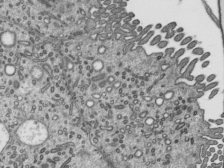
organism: Mouse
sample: Mouse epididymis efferent ductule cilia